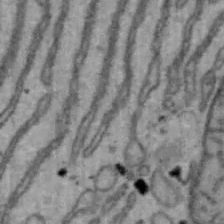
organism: Mouse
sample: Liver